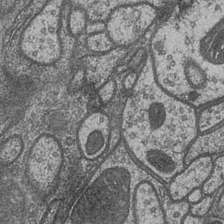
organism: Drosophila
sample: Optic medulla